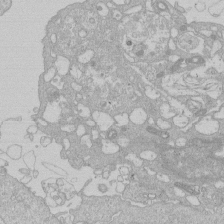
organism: Human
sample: Macrophage cells